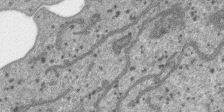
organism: Human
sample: Lung epithelial cells infected with SARS-CoV-2